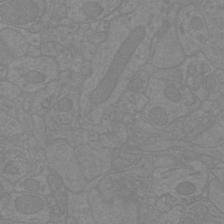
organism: Mouse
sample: Cortical neurons